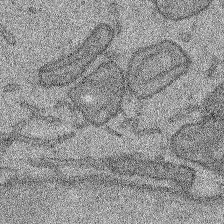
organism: Human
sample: HeLa cells